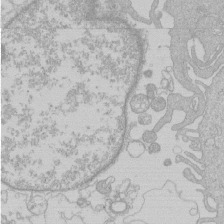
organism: Human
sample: Macrophage cells